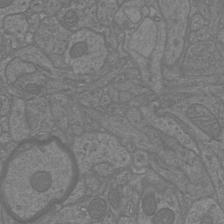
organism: Mouse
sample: Cortical neurons